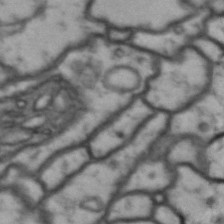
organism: Drosophila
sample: Brain